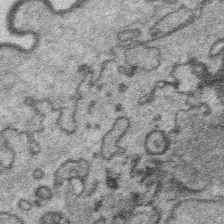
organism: Platynereis dumerilii